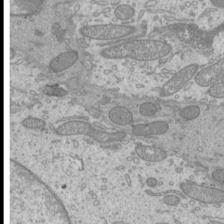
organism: Mouse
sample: Cilia; mouse epididymis